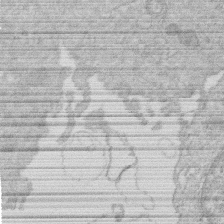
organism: Human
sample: Macrophage cells